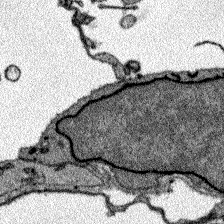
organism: Zebrafish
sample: Larval olfactory bulb